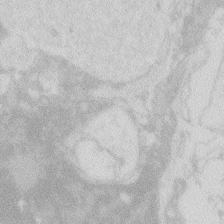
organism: Zebrafish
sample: Macrophage